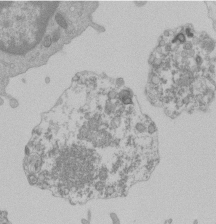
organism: Mouse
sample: Activated Pmel transgenic CD8+ T Cells